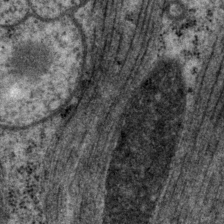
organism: P. pacificus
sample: Pharynx